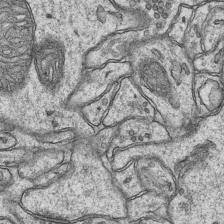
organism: Mouse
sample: CA1 Hippocampus